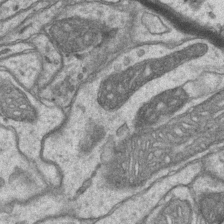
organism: Mouse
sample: CA1 Hippocampus